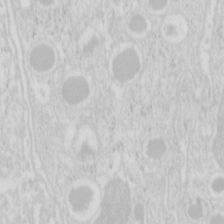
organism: Mouse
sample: Pancreas